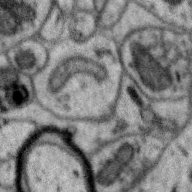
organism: Zebra finch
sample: Brain